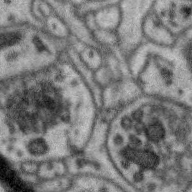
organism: Zebra finch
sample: Brain